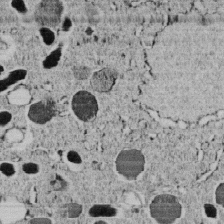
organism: C. elegans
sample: C. elegans embryo early stage